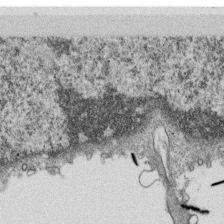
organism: African green monkey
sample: Vero E6 cells infected with SARS-CoV-2